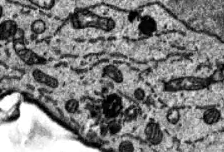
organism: Human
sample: HeLa cells